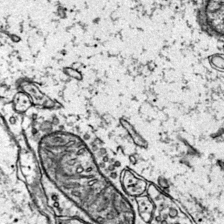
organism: Mouse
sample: Primary visual cortex